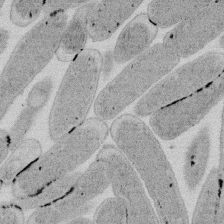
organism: E. coli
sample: Bacterial nucleoid